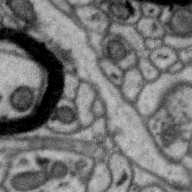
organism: Zebra finch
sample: Brain